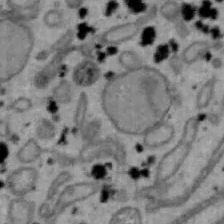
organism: Mouse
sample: Liver